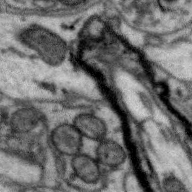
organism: Zebra finch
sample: Brain